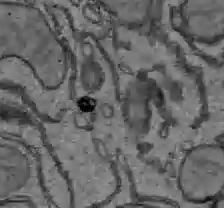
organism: C57BL Mouse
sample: Liver